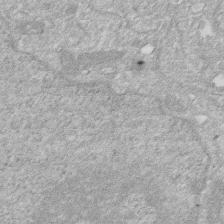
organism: Human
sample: HIV infected U937 cells